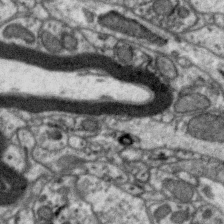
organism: Zebra finch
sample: Brain